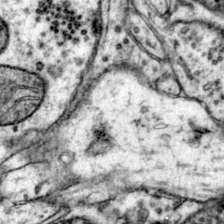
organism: Mouse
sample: Primary visual cortex